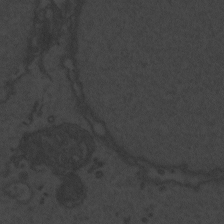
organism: Zebrafish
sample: Macrophage infected with Toxoplasma gondii